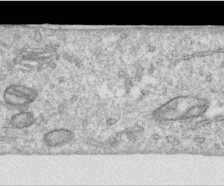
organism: Human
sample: Centriole in RPE cells